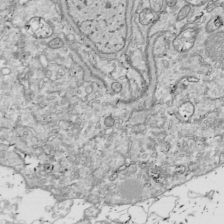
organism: Drosophila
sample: Cell division; meiosis; drosophila spermatocytes